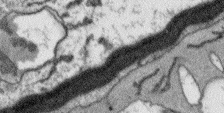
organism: Arabidopsis thaliana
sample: Root tip